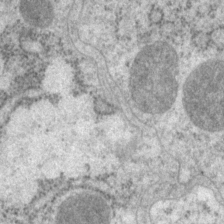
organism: P. pacificus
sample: Pharynx